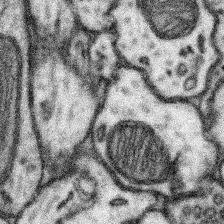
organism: Mouse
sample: Somatosensory cortex neuropil